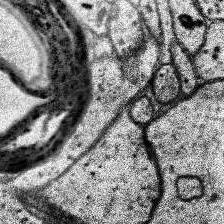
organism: Human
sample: Temporal Lobe